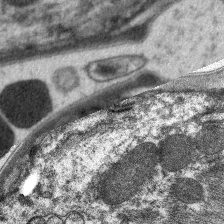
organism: C. elegans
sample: Pharynx